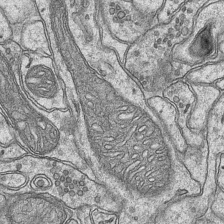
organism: Mouse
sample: CA1 Hippocampus